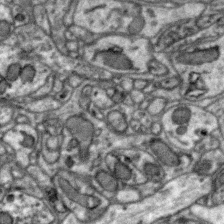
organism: Zebra finch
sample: Brain